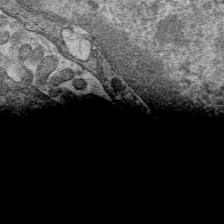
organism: Mouse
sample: Mouse hepatocytes